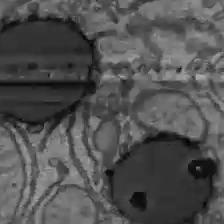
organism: C57BL Mouse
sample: Liver